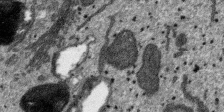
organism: Human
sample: Lung epithelial cells, uninfected (mock) control